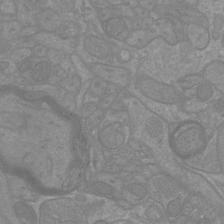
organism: Mouse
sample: Cortical neurons